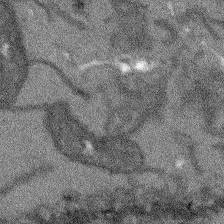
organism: Arabidopsis thaliana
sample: Root tip